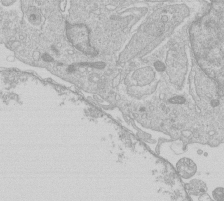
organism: Human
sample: Macrophage cells